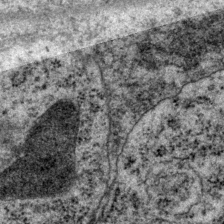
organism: P. pacificus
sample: Pharynx